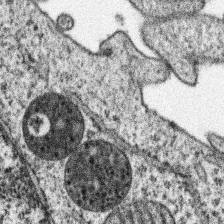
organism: Human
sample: HeLa cells